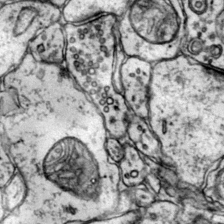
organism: Mouse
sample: Primary visual cortex